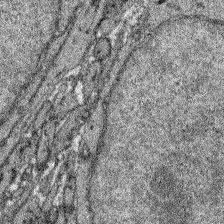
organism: Zebrafish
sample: Larval olfactory bulb